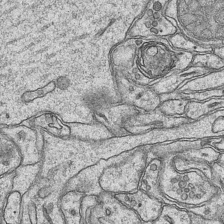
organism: Mouse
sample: CA1 Hippocampus